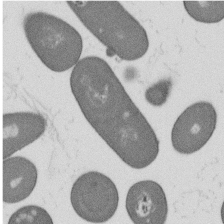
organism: B. subtilis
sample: Bacterial spore